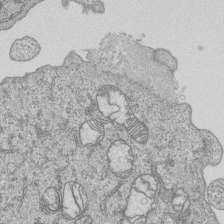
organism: Human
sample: MDA-MB-231 cells